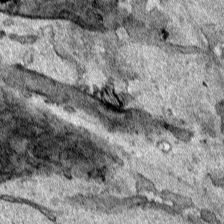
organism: Human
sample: Mitochondria in HCT116 cells